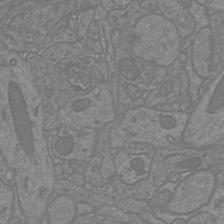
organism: Mouse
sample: Cortical neurons